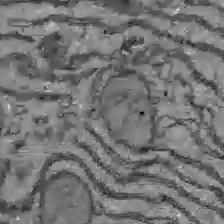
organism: C57BL Mouse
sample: Liver